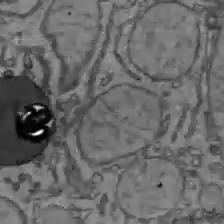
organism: C57BL Mouse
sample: Liver